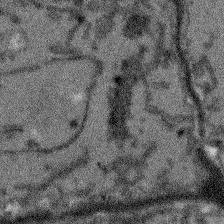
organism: Arabidopsis thaliana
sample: Root tip